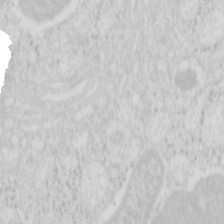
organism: Mouse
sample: Pancreas